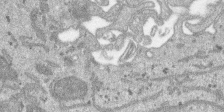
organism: Human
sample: Lung epithelial cells infected with SARS-CoV-2